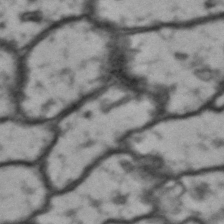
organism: Drosophila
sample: Brain